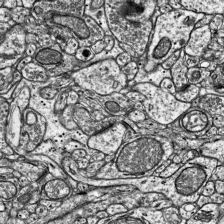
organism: Mouse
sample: Visual Cortex